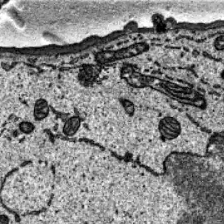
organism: Human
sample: HeLa cells